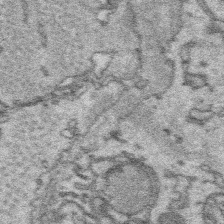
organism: Platynereis dumerilii